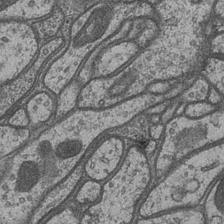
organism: Drosophila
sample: Optic medulla